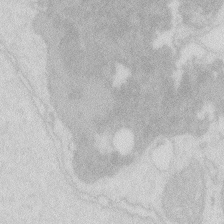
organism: Zebrafish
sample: Macrophage